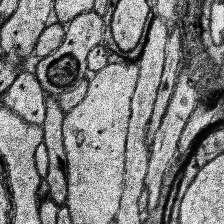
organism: Human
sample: Temporal Lobe